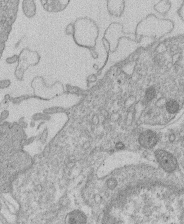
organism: Human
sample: Macrophage cells